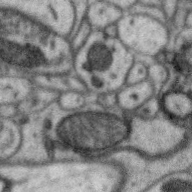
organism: Zebra finch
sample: Brain